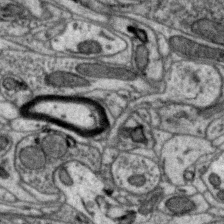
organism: Zebra finch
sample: Brain